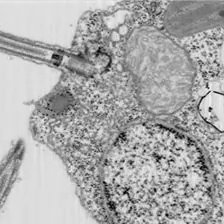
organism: Chlamydomonas reinhardtii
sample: Whole Cell